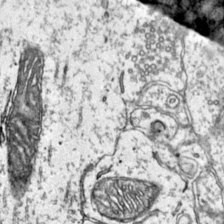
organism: Mouse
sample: Primary visual cortex